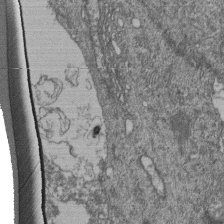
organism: Human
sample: Retinal organoid Rod and Cone cells